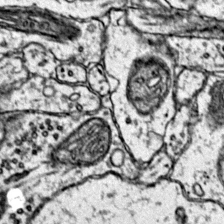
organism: Mouse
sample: Primary visual cortex